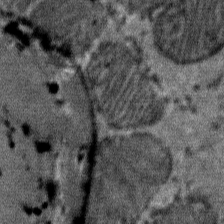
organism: Mouse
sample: Mouse Salivary gland